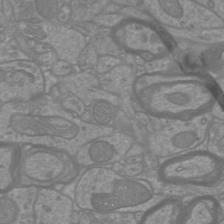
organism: Mouse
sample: Cortical neurons